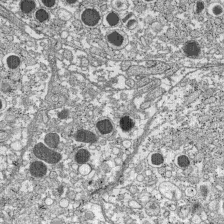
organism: C57BL Mouse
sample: Pancreatic islet